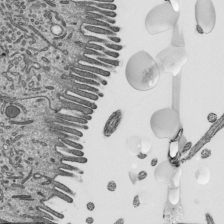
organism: Mouse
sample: Mouse epididymis efferent ductule cilia